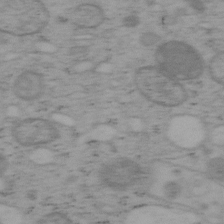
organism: Mouse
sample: OT-I killer T cells with ID8 ovarian cancer cells